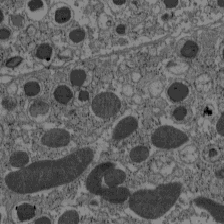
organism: C57BL Mouse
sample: Pancreatic islet